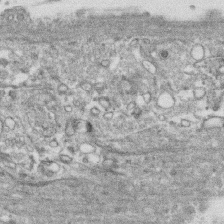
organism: Human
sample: CRL-1474